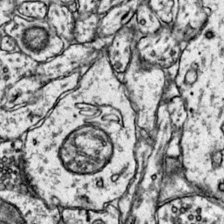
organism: Mouse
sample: Primary visual cortex